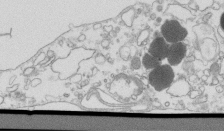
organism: Mouse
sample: Macrophages